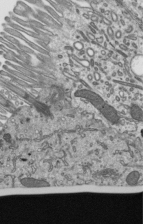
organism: Mouse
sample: Mouse epididymis efferent ductule cilia